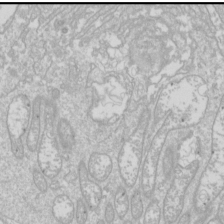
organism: Drosophila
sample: Cell division; meiosis; drosophila spermatocytes